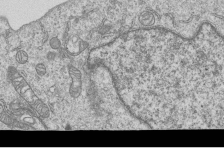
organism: Human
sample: MDA-MB-231 cells